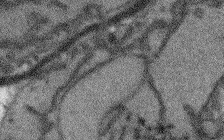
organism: Arabidopsis thaliana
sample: Root tip